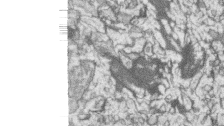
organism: Zebrafish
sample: synaptic ribbons in rod cells and cone cells